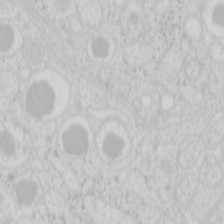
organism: Mouse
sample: Pancreas